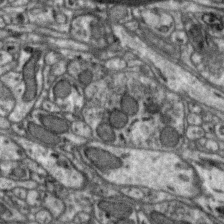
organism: Zebra finch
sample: Brain